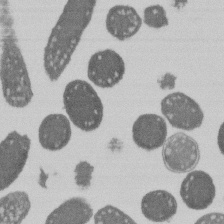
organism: E. coli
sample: Bacterial nucleoid